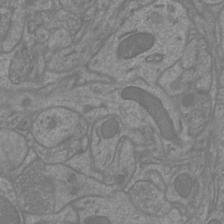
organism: Mouse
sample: Cortical neurons